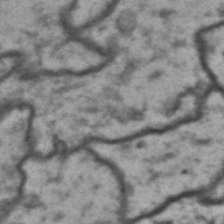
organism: Drosophila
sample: Brain